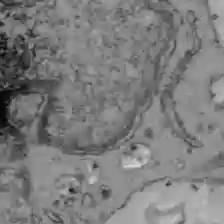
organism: C57BL Mouse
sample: Liver